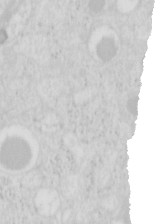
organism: Mouse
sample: Pancreas